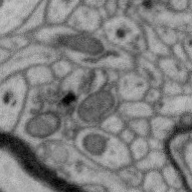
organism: Zebra finch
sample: Brain